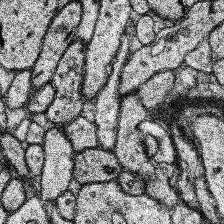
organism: Human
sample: Temporal Lobe